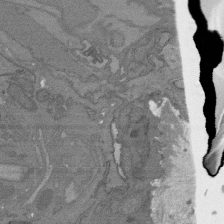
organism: C. elegans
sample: AFD neurons C. elegans